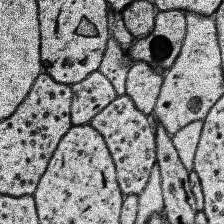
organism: Human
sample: Temporal Lobe